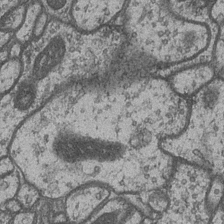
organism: Drosophila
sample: Optic medulla